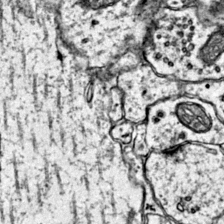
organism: Mouse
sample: Primary visual cortex